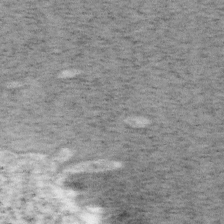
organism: Mouse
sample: OT-I killer T cells with ID8 ovarian cancer cells